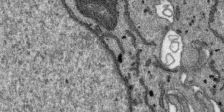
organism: Human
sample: Lung epithelial cells, uninfected (mock) control